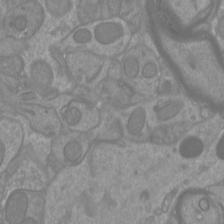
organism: Mouse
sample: Cortical neurons